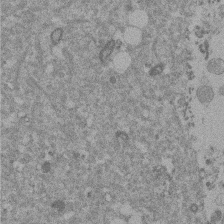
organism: Mouse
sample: Dividing mouse embryo 1 cell stage